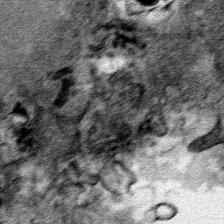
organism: Human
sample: Mitochondria in HCT116 cells